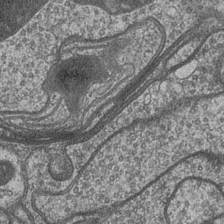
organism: Drosophila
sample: Optic medulla